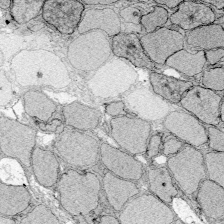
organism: Zebrafish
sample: Whole-Brain